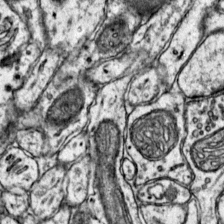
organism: Mouse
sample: Primary visual cortex